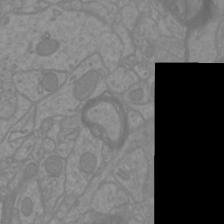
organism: Mouse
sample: Cortical neurons